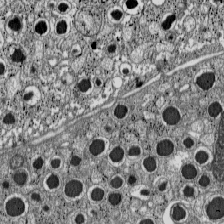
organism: C57BL Mouse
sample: Pancreatic islet